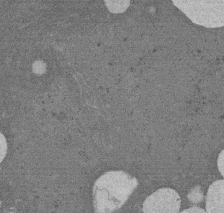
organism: Rat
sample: Salivary granule